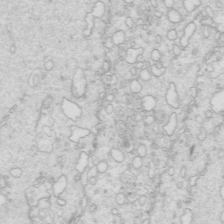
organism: Mouse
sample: Multiciliated cells